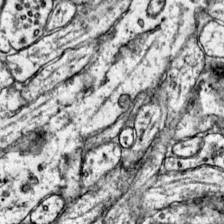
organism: Mouse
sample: Primary visual cortex